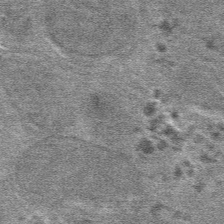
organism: Mouse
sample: Mouse hepatocytes